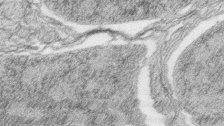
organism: Zebrafish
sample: synaptic ribbons in rod cells and cone cells